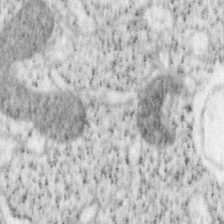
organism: Mouse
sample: OT-I killer T cells with ID8 ovarian cancer cells